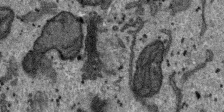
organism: Human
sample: Lung epithelial cells, uninfected (mock) control